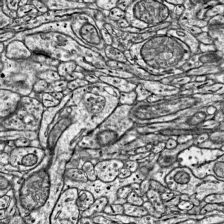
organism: Mouse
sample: Visual Cortex